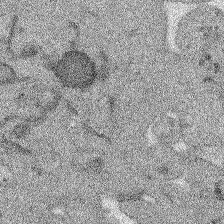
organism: Human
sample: HeLa cells